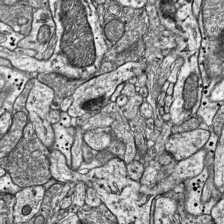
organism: Mouse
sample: Visual Cortex